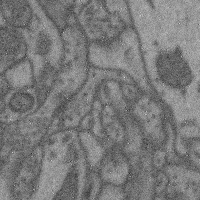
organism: Mouse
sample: Cerebral cortex